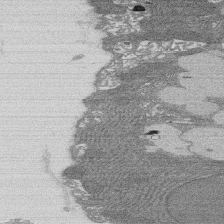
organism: Rat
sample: Salivary granule